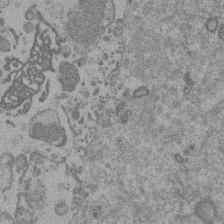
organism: Mouse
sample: Dividing mouse embryo 1 cell stage